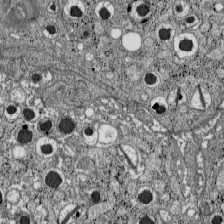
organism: C57BL Mouse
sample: Pancreatic islet